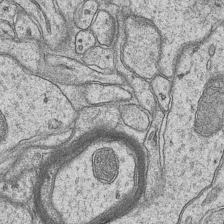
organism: Mouse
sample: CA1 Hippocampus